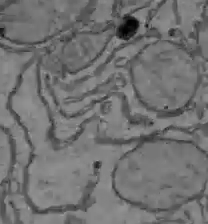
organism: C57BL Mouse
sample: Liver